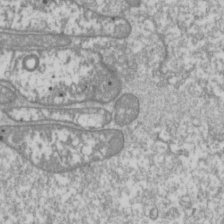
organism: Drosophila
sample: Cell division; meiosis; drosophila spermatocytes